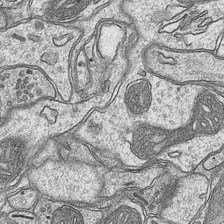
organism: Mouse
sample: CA1 Hippocampus